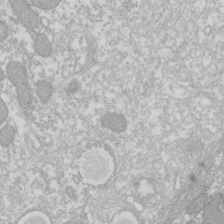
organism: Xenopus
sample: Cilia; centrioles in frog embryo cells